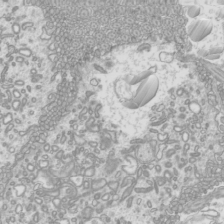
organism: Mouse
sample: Cilia; mouse epididymis